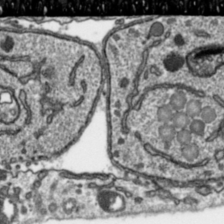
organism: Toxoplasma gondii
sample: Parasites in a vacuole inside a host cell